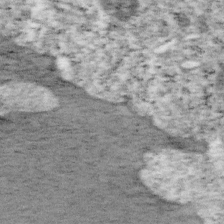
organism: Mouse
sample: OT-I killer T cells with ID8 ovarian cancer cells